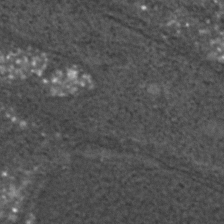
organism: C. elegans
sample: C. elegans embryo